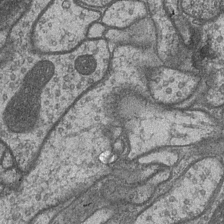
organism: Drosophila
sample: Optic medulla